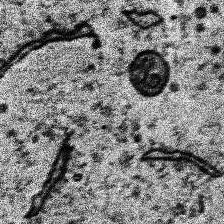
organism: Human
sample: Temporal Lobe